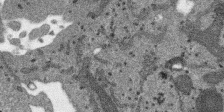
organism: Human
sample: Lung epithelial cells infected with SARS-CoV-2